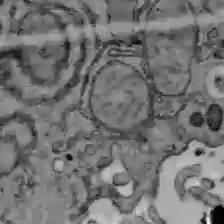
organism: C57BL Mouse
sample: Liver